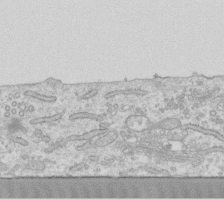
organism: Human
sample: Fibroblast cells